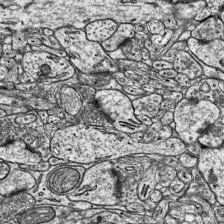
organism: Mouse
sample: Visual Cortex